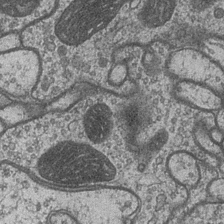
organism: Drosophila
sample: Optic medulla